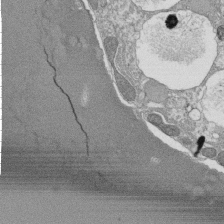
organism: Tetrahymena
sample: Cilia in tetrahymena